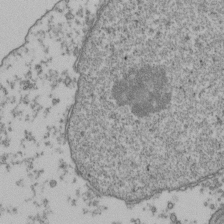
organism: Human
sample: Activated Jurkat CD4+ T cells